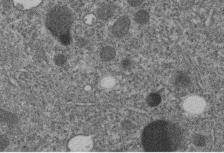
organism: C. elegans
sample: C. elegans embryo early stage